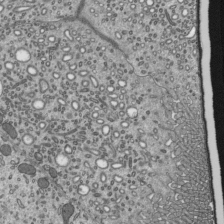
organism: Mouse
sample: Mouse epididymis efferent ductule cilia